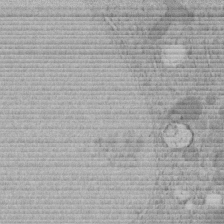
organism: C. elegans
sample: C. elegans embryo early stage